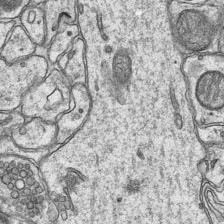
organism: Mouse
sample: CA1 Hippocampus